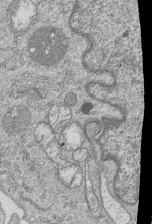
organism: Human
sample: MDA-MB-231 cells